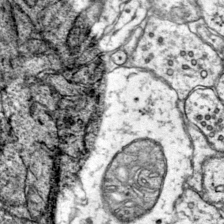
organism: Mouse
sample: Primary visual cortex